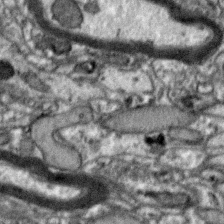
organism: Zebra finch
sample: Brain